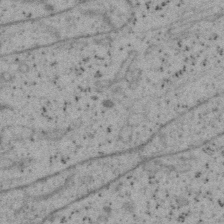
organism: Human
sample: HeLa cells